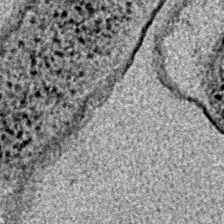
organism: E. coli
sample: E. Coli Bacteria